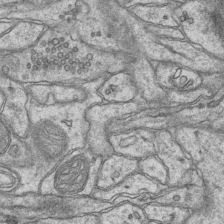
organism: Mouse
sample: CA1 Hippocampus